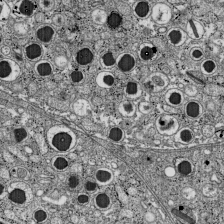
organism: C57BL Mouse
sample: Pancreatic islet